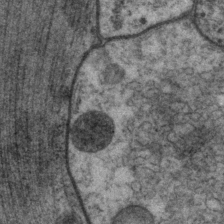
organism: P. pacificus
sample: Pharynx